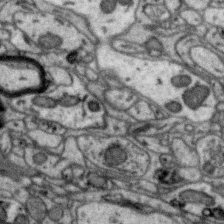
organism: Zebra finch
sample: Brain